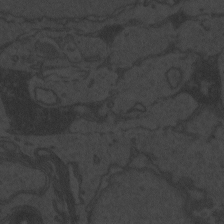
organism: Zebrafish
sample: Macrophage infected with Toxoplasma gondii